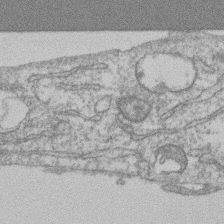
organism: Mouse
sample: T cell stromal cell synapse